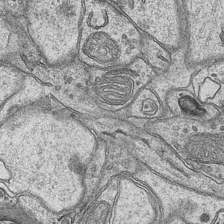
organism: Mouse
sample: CA1 Hippocampus